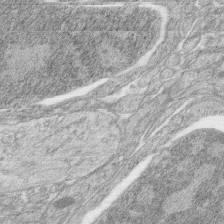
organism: Zebrafish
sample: synaptic ribbons in rod cells and cone cells